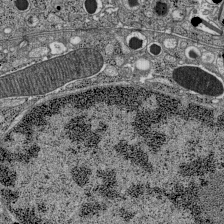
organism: C57BL Mouse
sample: Pancreatic islet